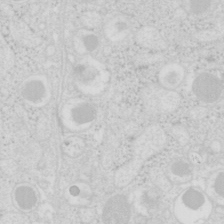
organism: Mouse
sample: Pancreas